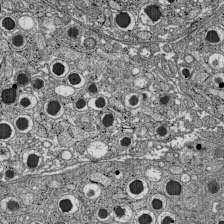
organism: C57BL Mouse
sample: Pancreatic islet